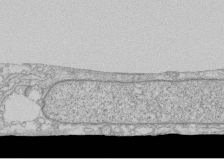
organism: Human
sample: CRL-1474